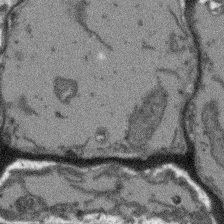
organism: Arabidopsis thaliana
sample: Root tip